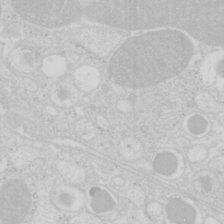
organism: Mouse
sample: Pancreas